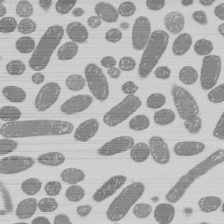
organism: E. coli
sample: Bacterial nucleoid